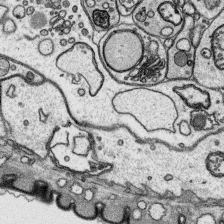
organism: Platynereis dumerilii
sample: Parapodia